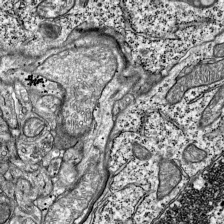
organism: Mouse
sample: Visual Cortex